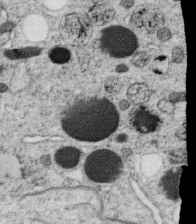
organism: C. elegans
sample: C. elegans oocyte; sperm cells